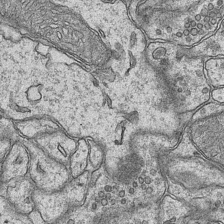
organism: Mouse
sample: CA1 Hippocampus